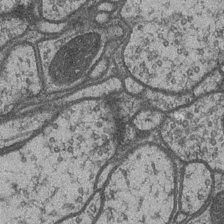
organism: Drosophila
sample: Optic medulla